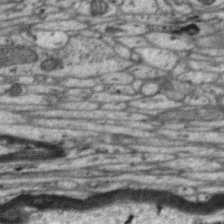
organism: Zebra finch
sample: Brain